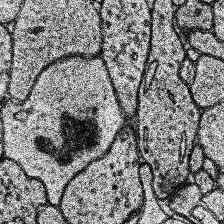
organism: Human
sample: Temporal Lobe